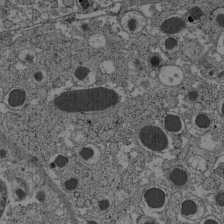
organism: C57BL Mouse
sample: Pancreatic islet